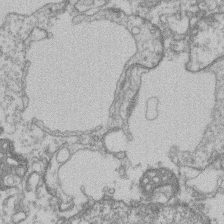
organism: Mouse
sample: T cell stromal cell synapse